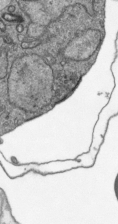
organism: Plasmodium falciparum